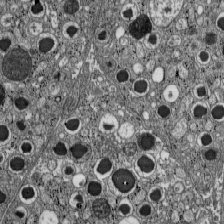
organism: C57BL Mouse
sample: Pancreatic islet